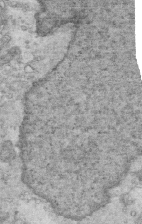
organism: Mouse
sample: Multiciliated cells